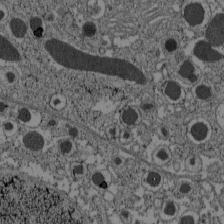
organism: C57BL Mouse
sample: Pancreatic islet